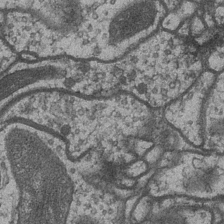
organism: Drosophila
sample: Optic medulla